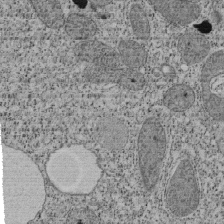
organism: Tetrahymena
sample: Cilia in tetrahymena